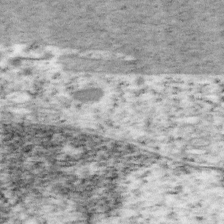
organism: Mouse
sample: OT-I killer T cells with ID8 ovarian cancer cells